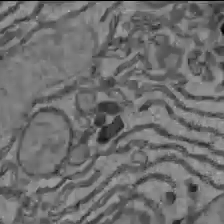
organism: C57BL Mouse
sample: Liver